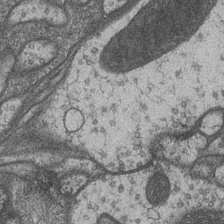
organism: Drosophila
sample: Optic medulla